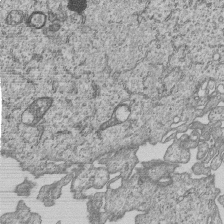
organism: Human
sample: MDA-MB-231 cells